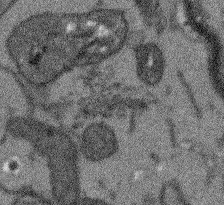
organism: Arabidopsis thaliana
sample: Root tip